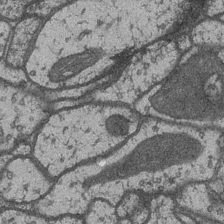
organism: Drosophila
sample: Optic medulla